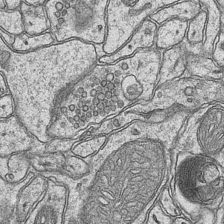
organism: Mouse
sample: CA1 Hippocampus